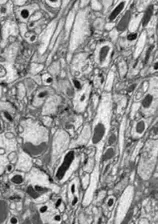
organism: Drosophila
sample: Optic lobe